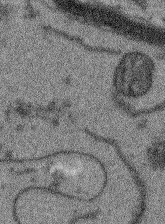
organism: Arabidopsis thaliana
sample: Root tip